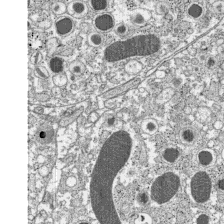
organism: C57BL Mouse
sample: Pancreatic islet